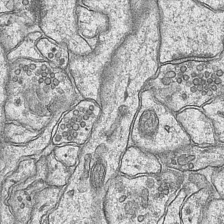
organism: Mouse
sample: CA1 Hippocampus